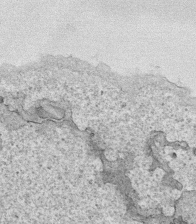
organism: Human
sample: Mitochondria in HCT116 cells